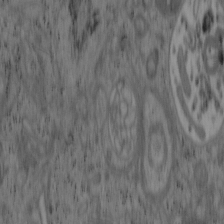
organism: Human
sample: HeLa cells